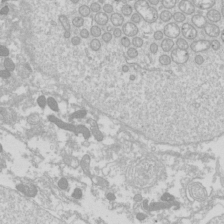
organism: Drosophila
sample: Cell division; meiosis; drosophila spermatocytes